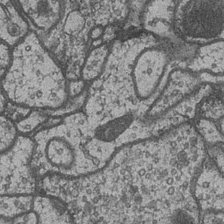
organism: Drosophila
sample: Optic medulla